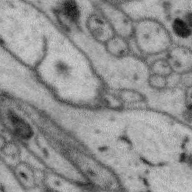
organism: Zebra finch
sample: Brain